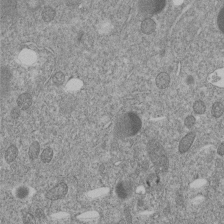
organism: C. elegans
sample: C. elegans embryo early stage